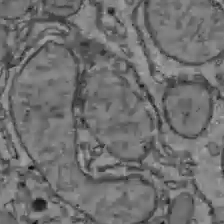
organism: C57BL Mouse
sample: Liver